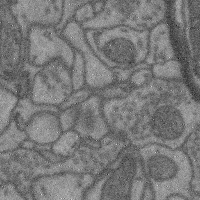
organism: Mouse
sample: Cerebral cortex